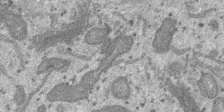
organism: Human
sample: Lung epithelial cells infected with SARS-CoV-2